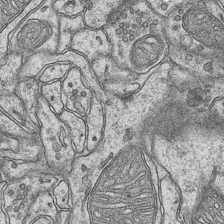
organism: Mouse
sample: CA1 Hippocampus